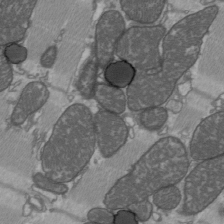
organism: C57BL Mouse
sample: Heart